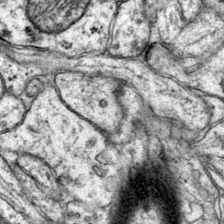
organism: Mouse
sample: Primary visual cortex